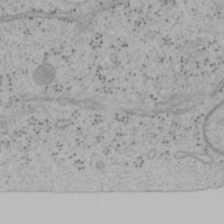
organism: Human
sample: HeLa cells